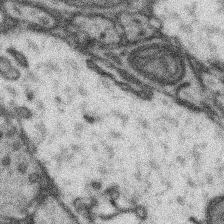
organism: Mouse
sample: Somatosensory cortex neuropil